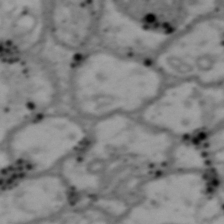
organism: Drosophila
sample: Brain